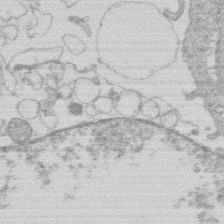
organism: Human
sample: Macrophage cells